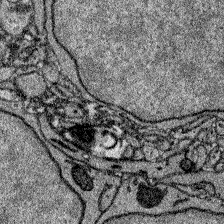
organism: Zebrafish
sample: Larval olfactory bulb